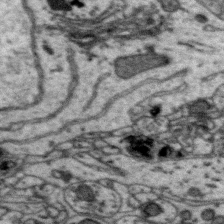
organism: Zebra finch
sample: Brain